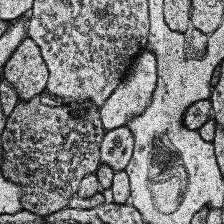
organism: Human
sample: Temporal Lobe